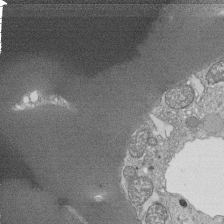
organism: Tetrahymena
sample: Cilia in tetrahymena